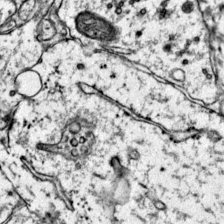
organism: Mouse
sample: Primary visual cortex